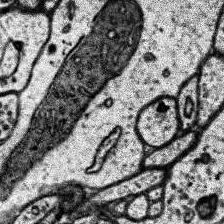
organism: Human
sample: Temporal Lobe